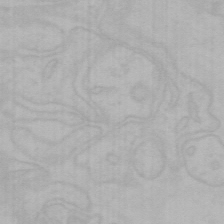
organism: Mouse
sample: Choroid plexus